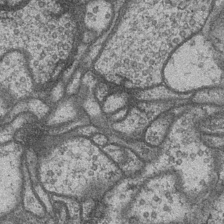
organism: Drosophila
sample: Optic medulla